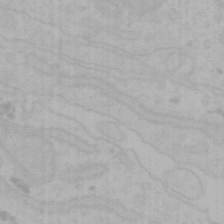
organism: Mouse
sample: Choroid plexus